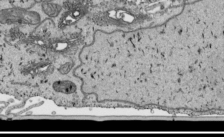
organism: Human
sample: Mitochondria in HCT116 cells